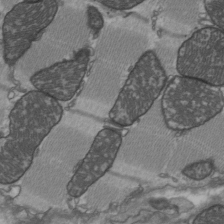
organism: C57BL Mouse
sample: Heart